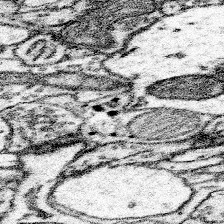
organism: Mouse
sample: Somatosensory cortex neuropil